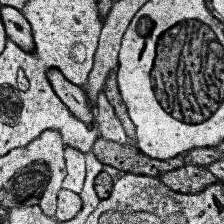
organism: Human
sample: Temporal Lobe